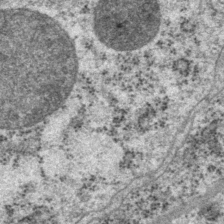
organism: P. pacificus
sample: Pharynx